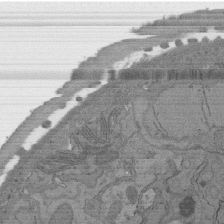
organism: C. elegans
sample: AFD neurons C. elegans